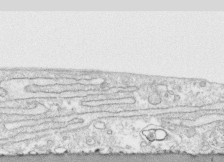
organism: Human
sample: CRL-1474